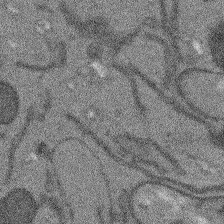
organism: Arabidopsis thaliana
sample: Root tip